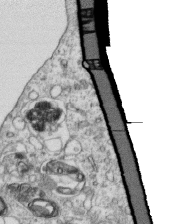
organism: Mouse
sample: Activated OT-1 CD8+ T cells